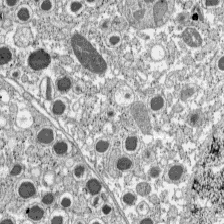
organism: C57BL Mouse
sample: Pancreatic islet